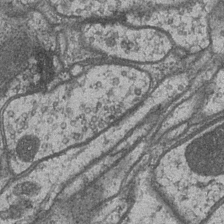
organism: Drosophila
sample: Optic medulla